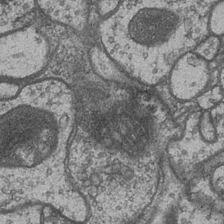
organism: Drosophila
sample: Optic medulla